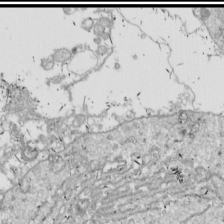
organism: Drosophila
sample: Cell division; meiosis; drosophila spermatocytes